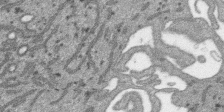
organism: Human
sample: Lung epithelial cells infected with SARS-CoV-2